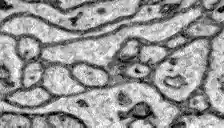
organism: Zebrafish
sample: Brain